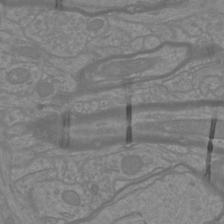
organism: Mouse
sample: Cortical neurons